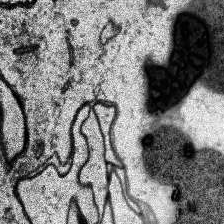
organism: Human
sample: Temporal Lobe